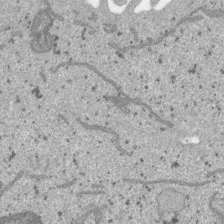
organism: Human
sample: Lung epithelial cells infected with SARS-CoV-2